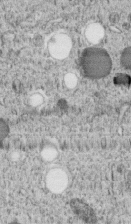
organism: C. elegans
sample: C. elegans embryo early stage